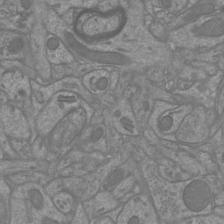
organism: Mouse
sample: Cortical neurons